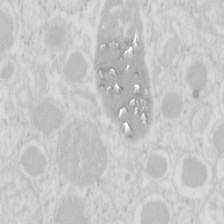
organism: Mouse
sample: Pancreas